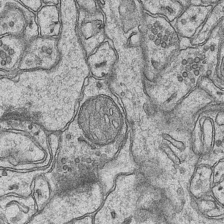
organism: Mouse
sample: CA1 Hippocampus